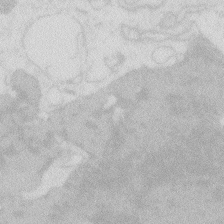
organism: Zebrafish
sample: Macrophage